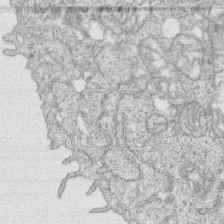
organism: Human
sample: HeLa cell HIV synapse